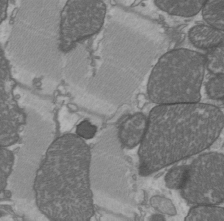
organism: C57BL Mouse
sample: Heart